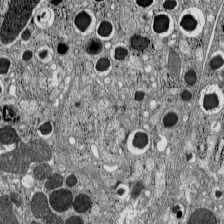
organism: C57BL Mouse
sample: Pancreatic islet